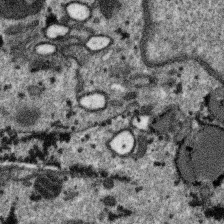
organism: Human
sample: Lung epithelial cells infected with SARS-CoV-2